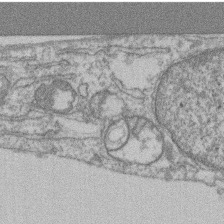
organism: Mouse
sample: T cell stromal cell synapse